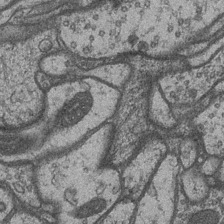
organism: Drosophila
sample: Optic medulla